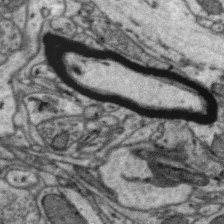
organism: Zebra finch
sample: Brain